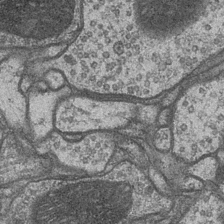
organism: Drosophila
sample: Optic medulla